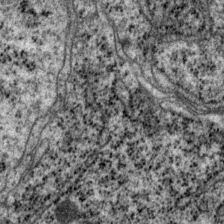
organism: P. pacificus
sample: Pharynx